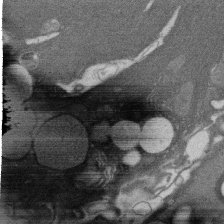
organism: Rat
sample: Salivary granule